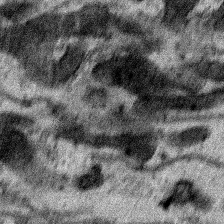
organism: Human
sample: Mitochondria in HCT116 cells